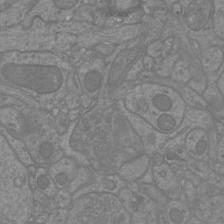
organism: Mouse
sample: Cortical neurons